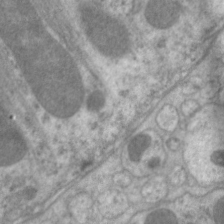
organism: C. elegans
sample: Pharynx